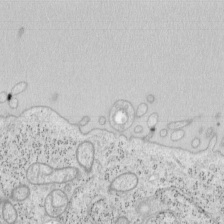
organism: Mouse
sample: OT-I killer T cells with ID8 ovarian cancer cells